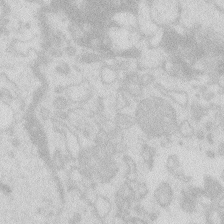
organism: Zebrafish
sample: Macrophage